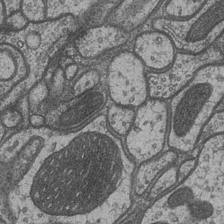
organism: Drosophila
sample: Optic medulla